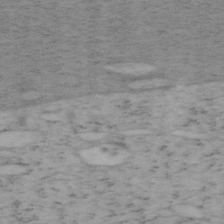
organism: Mouse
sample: OT-I killer T cells with ID8 ovarian cancer cells